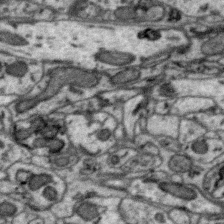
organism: Zebra finch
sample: Brain